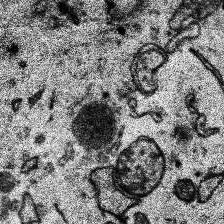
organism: Human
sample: Temporal Lobe